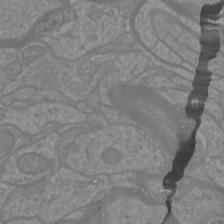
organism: Mouse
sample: Cortical neurons